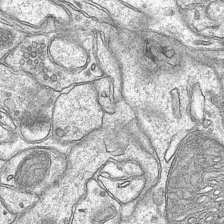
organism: Mouse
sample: CA1 Hippocampus